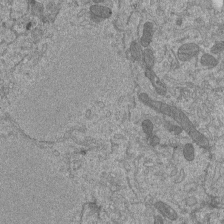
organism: Mouse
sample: ED-1 cell nuclei; centrioles